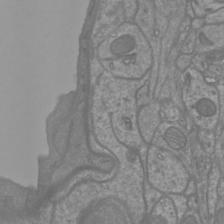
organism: Mouse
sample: Cortical neurons